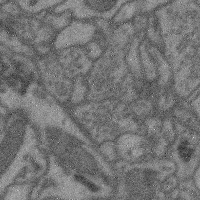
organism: Mouse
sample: Cerebral cortex